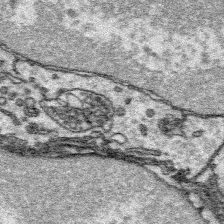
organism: Platynereis dumerilii